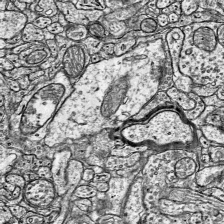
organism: Mouse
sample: Visual Cortex